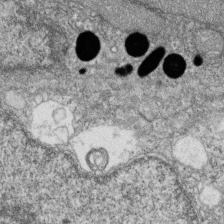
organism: Zebrafish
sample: Cilia; retinal pigment epithelium